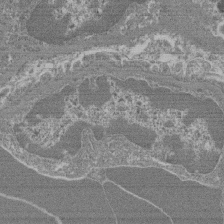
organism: Mouse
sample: Glomerulus